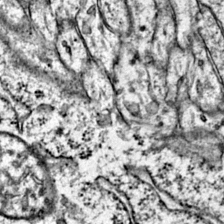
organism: Mouse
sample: Primary visual cortex